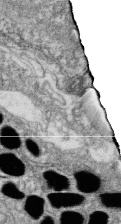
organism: Zebrafish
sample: Cilia; retinal pigment epithelium